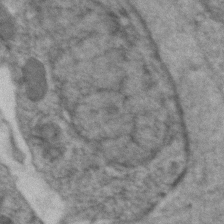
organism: Zebrafish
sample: Zebrafish embryo